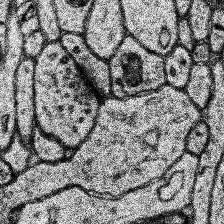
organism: Human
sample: Temporal Lobe